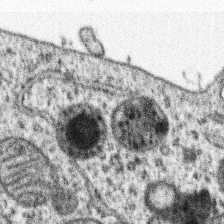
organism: Human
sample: HeLa cells